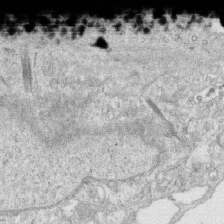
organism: Human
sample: HeLa cell HIV synapse